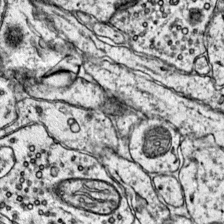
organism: Mouse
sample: Primary visual cortex